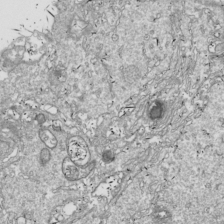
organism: Drosophila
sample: Cell division; meiosis; drosophila spermatocytes